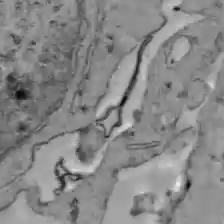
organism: C57BL Mouse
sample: Liver